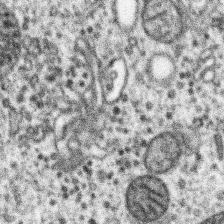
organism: Human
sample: HeLa cells